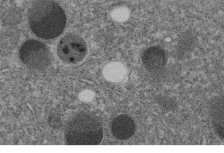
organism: C. elegans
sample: C. elegans embryo early stage